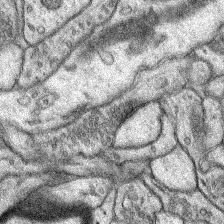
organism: Rat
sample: Hippocampus